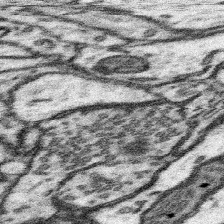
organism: Mouse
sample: Somatosensory cortex neuropil